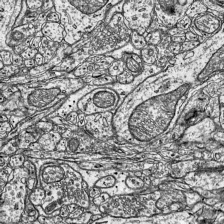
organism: Mouse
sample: Visual Cortex